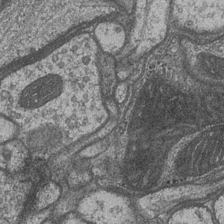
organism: Drosophila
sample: Optic medulla